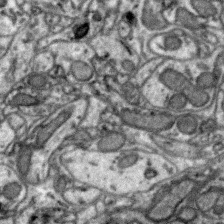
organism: Zebra finch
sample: Brain